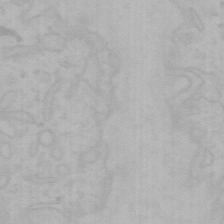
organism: Mouse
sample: Choroid plexus